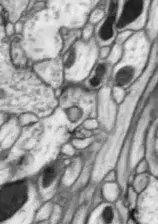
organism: Drosophila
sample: Optic lobe